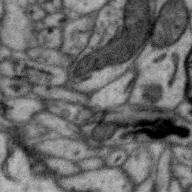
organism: Zebra finch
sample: Brain